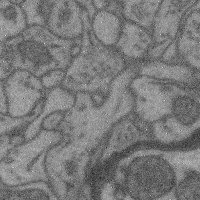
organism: Mouse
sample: Cerebral cortex